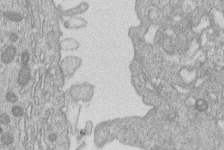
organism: Human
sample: Macrophage cells